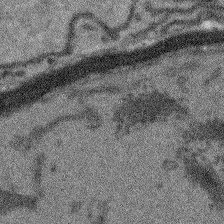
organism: Arabidopsis thaliana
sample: Root tip